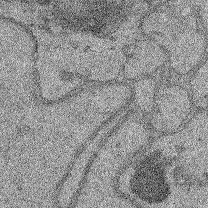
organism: Human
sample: HeLa cells